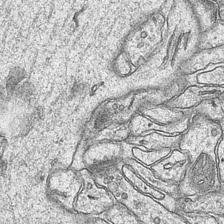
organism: Mouse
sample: CA1 Hippocampus